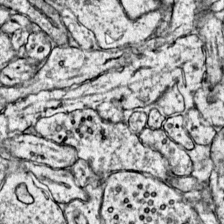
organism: Mouse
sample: Primary visual cortex